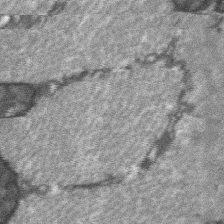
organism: C57BL Mouse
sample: Soleus